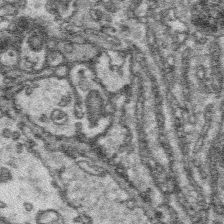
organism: Platynereis dumerilii